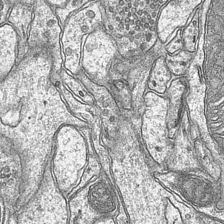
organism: Mouse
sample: CA1 Hippocampus